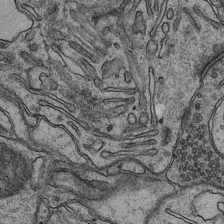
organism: Mouse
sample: CA1 Hippocampus